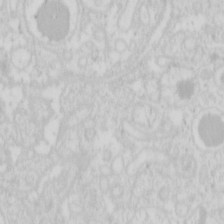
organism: Mouse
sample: Pancreas